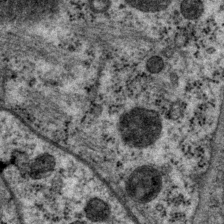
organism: P. pacificus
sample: Pharynx